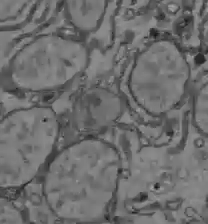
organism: C57BL Mouse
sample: Liver